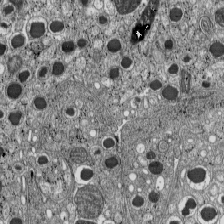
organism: C57BL Mouse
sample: Pancreatic islet